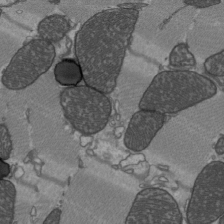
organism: C57BL Mouse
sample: Heart